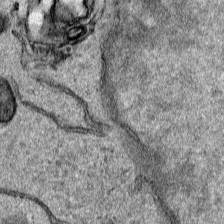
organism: Human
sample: Mitochondria in HCT116 cells